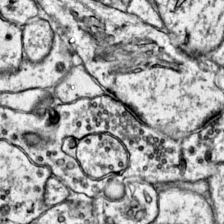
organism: Mouse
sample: Primary visual cortex